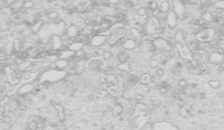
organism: Mouse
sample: Multiciliated cells